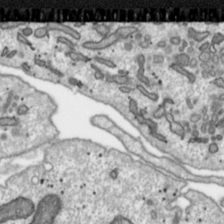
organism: Toxoplasma gondii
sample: Parasites in a vacuole inside a host cell